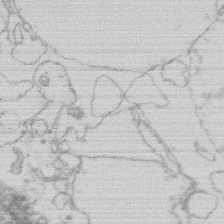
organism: Human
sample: Macrophage cells